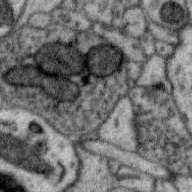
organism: Zebra finch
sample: Brain